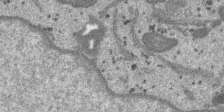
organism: Human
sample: Lung epithelial cells infected with SARS-CoV-2